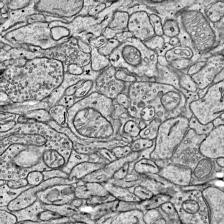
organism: Mouse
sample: Visual Cortex